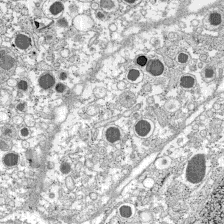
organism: C57BL Mouse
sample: Pancreatic islet